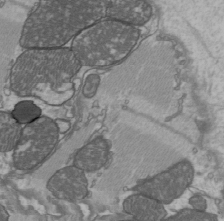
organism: C57BL Mouse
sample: Heart